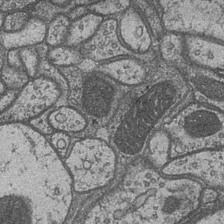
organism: Drosophila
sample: Optic medulla